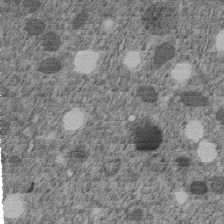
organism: C. elegans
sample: C. elegans embryo early stage